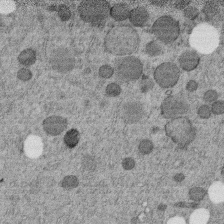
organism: C. elegans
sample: C. elegans embryo early stage